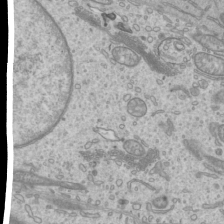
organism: Mouse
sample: Cilia; mouse epididymis